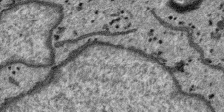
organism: Human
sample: Lung epithelial cells, uninfected (mock) control